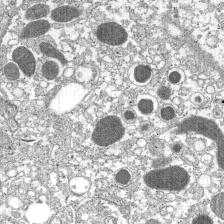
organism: C57BL Mouse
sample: Pancreatic islet